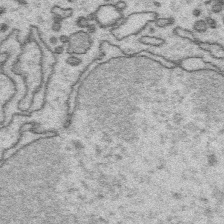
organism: Platynereis dumerilii